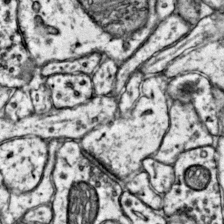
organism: Mouse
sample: Primary visual cortex